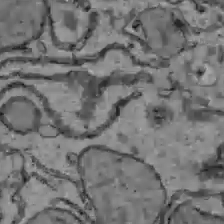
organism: C57BL Mouse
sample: Liver